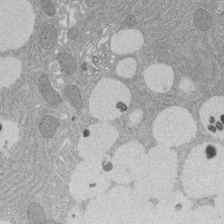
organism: Rat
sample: Salivary granule